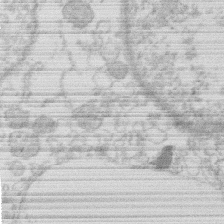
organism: Human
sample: Macrophage cells